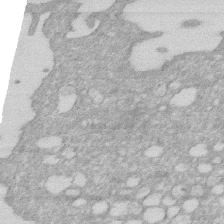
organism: Human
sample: HIV infected U937 cells